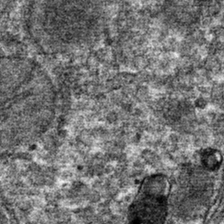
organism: Mouse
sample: Mouse hepatocytes